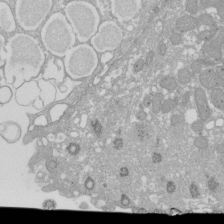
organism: Xenopus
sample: Cilia; centrioles in frog embryo cells